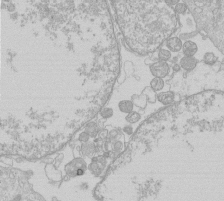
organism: Human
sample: Macrophage cells